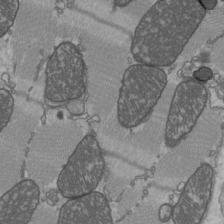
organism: C57BL Mouse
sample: Heart